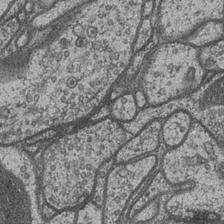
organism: Drosophila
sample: Optic medulla